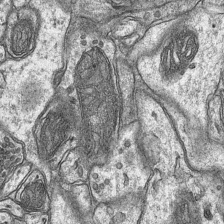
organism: Mouse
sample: CA1 Hippocampus